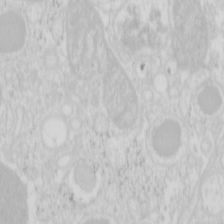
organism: Mouse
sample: Pancreas